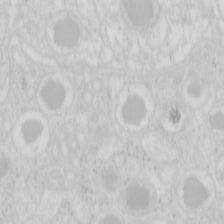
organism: Mouse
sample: Pancreas